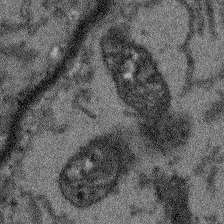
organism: Arabidopsis thaliana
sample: Root tip